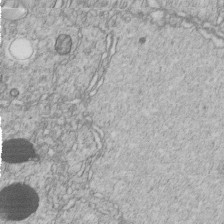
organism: C. elegans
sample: C. elegans embryo early stage